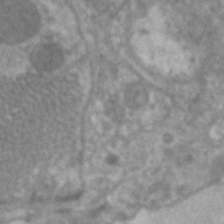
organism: C. elegans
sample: Pharynx